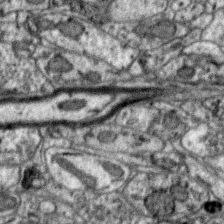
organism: Zebra finch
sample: Brain